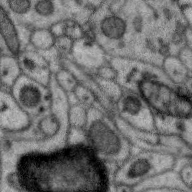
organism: Zebra finch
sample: Brain